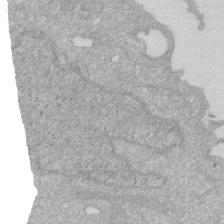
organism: Human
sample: HIV infected U937 cells